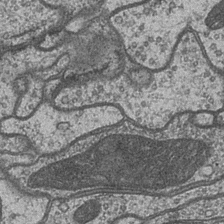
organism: Drosophila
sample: Optic medulla